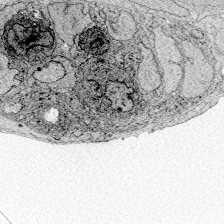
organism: Zebrafish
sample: Whole-Brain